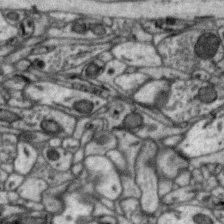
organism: Zebra finch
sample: Brain